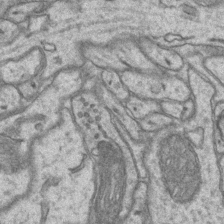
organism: Mouse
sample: CA1 Hippocampus